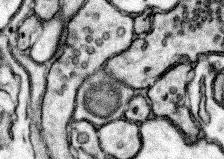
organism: Mouse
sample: Somatosensory cortex neuropil